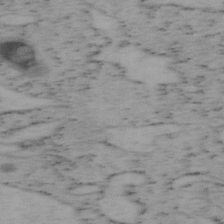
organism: Mouse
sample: OT-I killer T cells with ID8 ovarian cancer cells